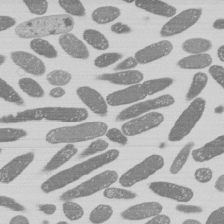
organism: E. coli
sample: Bacterial nucleoid